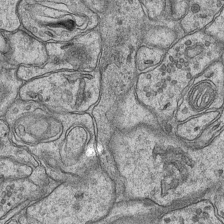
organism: Mouse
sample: CA1 Hippocampus